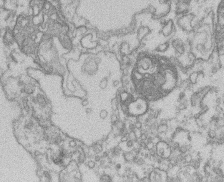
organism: Mouse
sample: T cell stromal cell synapse